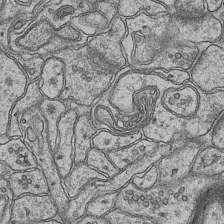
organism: Mouse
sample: CA1 Hippocampus